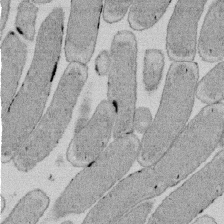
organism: E. coli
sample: Bacterial nucleoid